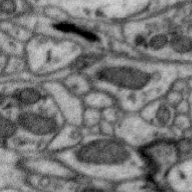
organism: Zebra finch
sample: Brain